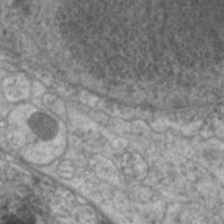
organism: C. elegans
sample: Pharynx